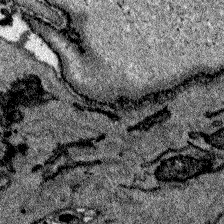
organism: Zebrafish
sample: Larval olfactory bulb